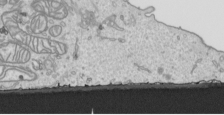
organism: Human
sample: Mitochondria in HCT116 cells